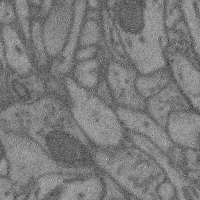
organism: Mouse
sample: Cerebral cortex